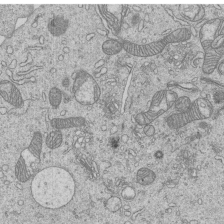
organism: Human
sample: MDA-MB-231 cells